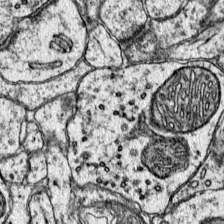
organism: Mouse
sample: Primary visual cortex